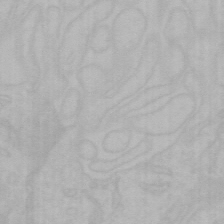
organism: Mouse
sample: Choroid plexus